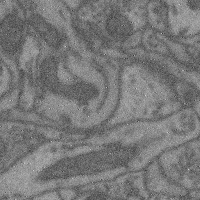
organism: Mouse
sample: Cerebral cortex